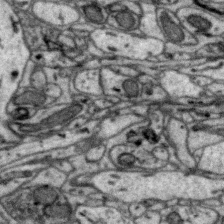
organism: Zebra finch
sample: Brain